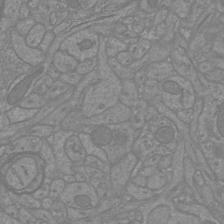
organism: Mouse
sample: Cortical neurons